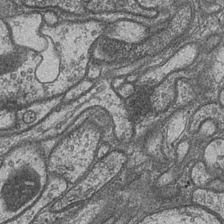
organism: Drosophila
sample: Optic medulla